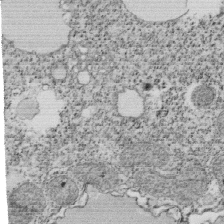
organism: Tetrahymena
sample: Cilia in tetrahymena